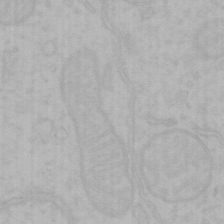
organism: Mouse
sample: Choroid plexus